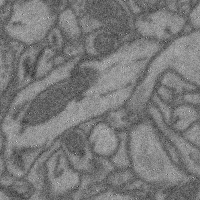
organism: Mouse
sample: Cerebral cortex